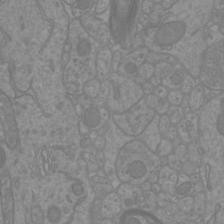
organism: Mouse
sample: Cortical neurons